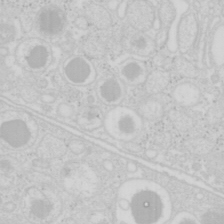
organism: Mouse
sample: Pancreas